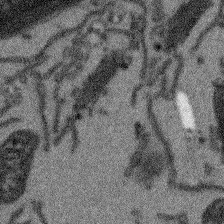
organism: Arabidopsis thaliana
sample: Root tip